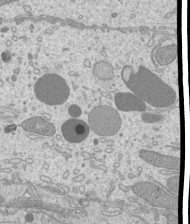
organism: Mouse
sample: Cilia; mouse epididymis